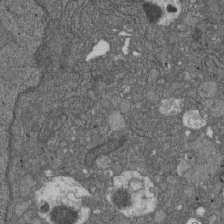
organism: Drosophila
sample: Nephrocyte